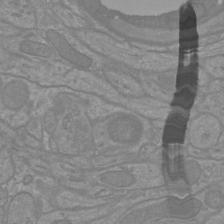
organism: Mouse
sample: Cortical neurons